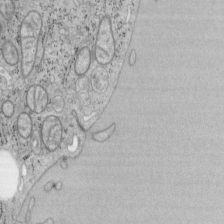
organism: Mouse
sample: OT-I killer T cells with ID8 ovarian cancer cells